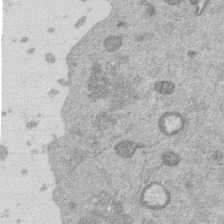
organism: Mouse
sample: Dividing mouse embryo 1 cell stage